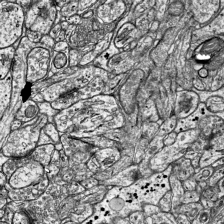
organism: Mouse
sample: Visual Cortex